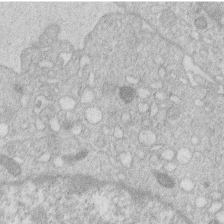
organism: Human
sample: Macrophage cells